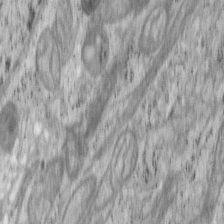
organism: Human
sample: HeLa cells